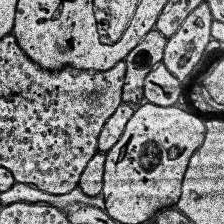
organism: Human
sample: Temporal Lobe